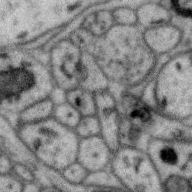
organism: Zebra finch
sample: Brain